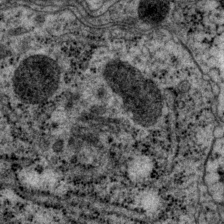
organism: P. pacificus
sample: Pharynx